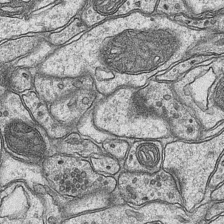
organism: Mouse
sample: CA1 Hippocampus